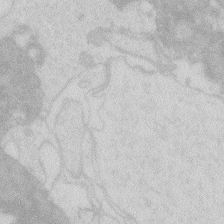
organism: Zebrafish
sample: Macrophage